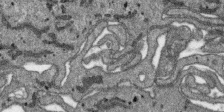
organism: Human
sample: Lung epithelial cells, uninfected (mock) control